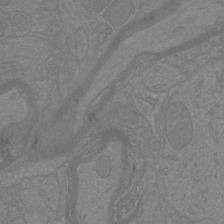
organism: Mouse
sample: Cortical neurons